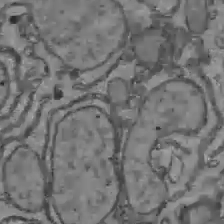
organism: C57BL Mouse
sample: Liver